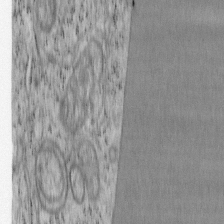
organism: Human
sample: HeLa cells